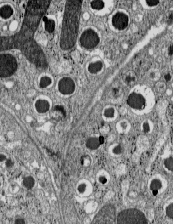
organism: C57BL Mouse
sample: Pancreatic islet